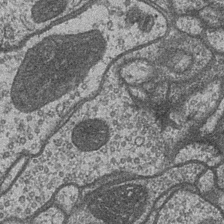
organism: Drosophila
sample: Optic medulla